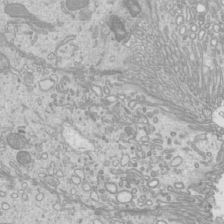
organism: Mouse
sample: Cilia; mouse epididymis